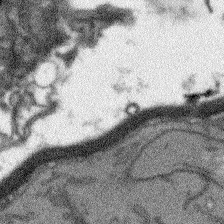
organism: Arabidopsis thaliana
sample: Root tip